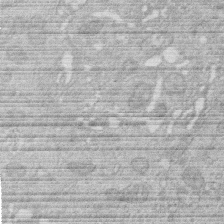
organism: Human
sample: Macrophage cells